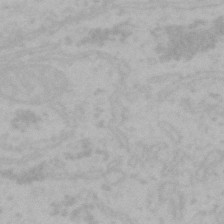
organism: Mouse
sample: Choroid plexus